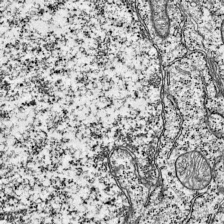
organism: Mouse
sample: Visual Cortex